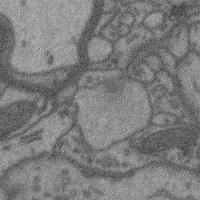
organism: Mouse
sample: Cerebral cortex